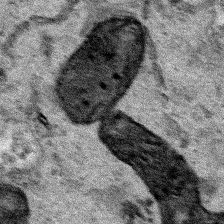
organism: Human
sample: Mitochondria in HCT116 cells